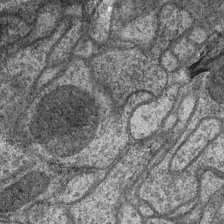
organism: Drosophila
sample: Optic medulla